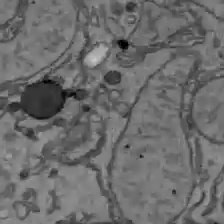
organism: C57BL Mouse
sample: Liver